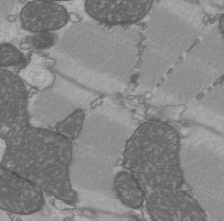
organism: C57BL Mouse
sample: Heart